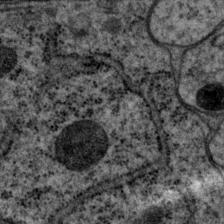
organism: P. pacificus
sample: Pharynx